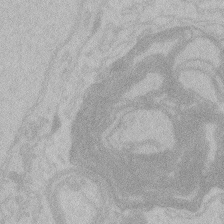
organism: Zebrafish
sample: Macrophage infected with Toxoplasma gondii